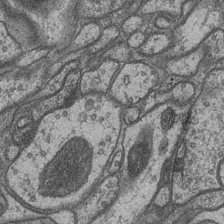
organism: Drosophila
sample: Optic medulla